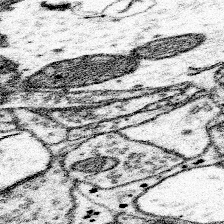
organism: Mouse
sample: Somatosensory cortex neuropil